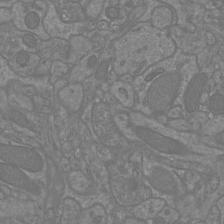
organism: Mouse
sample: Cortical neurons